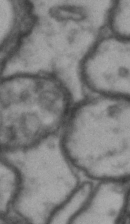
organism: Drosophila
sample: Brain